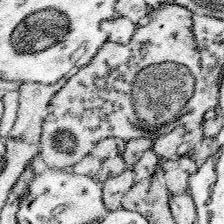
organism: Mouse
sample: Somatosensory cortex neuropil